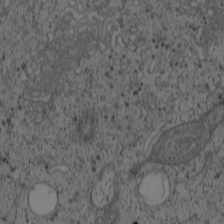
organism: African green monkey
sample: COS-7 cells